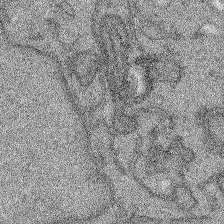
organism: Human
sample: HeLa cells